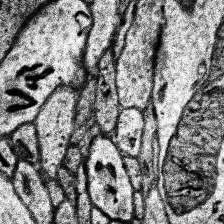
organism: Human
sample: Temporal Lobe